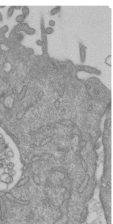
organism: Mouse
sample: ED-1 cell nuclei; centrioles